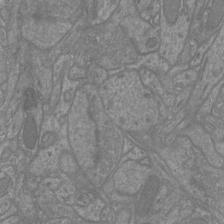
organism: Mouse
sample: Cortical neurons